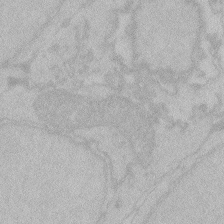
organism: Zebrafish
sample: Macrophage infected with Toxoplasma gondii